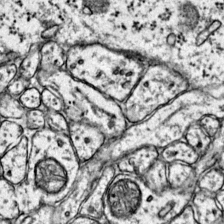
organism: Mouse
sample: Primary visual cortex